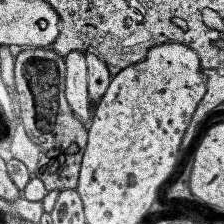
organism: Human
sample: Temporal Lobe